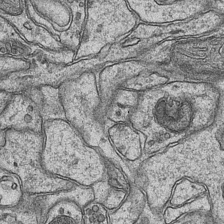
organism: Mouse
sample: CA1 Hippocampus